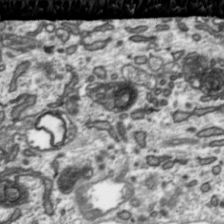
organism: Toxoplasma gondii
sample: Parasites in a vacuole inside a host cell